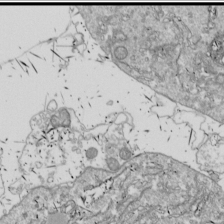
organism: Drosophila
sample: Cell division; meiosis; drosophila spermatocytes